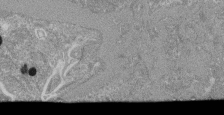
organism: Mouse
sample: Glomerulus